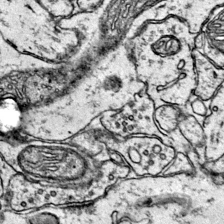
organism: Mouse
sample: Primary visual cortex